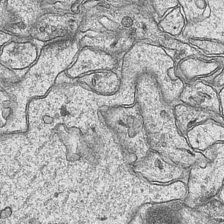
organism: Mouse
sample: CA1 Hippocampus